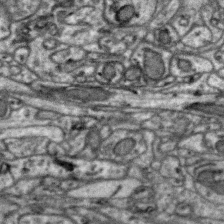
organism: Zebra finch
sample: Brain